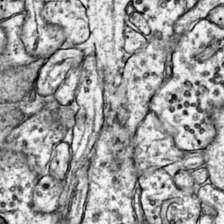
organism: Mouse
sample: Primary visual cortex